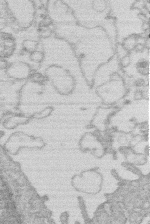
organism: Human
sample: Macrophage cells